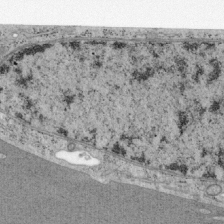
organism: Human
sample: HeLa cells